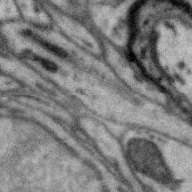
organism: Zebra finch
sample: Brain